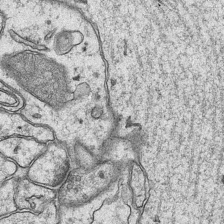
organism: Mouse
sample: CA1 Hippocampus